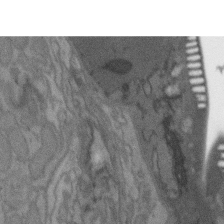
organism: C. elegans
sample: AFD neurons C. elegans